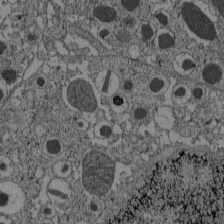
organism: C57BL Mouse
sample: Pancreatic islet